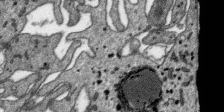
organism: Human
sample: Lung epithelial cells, uninfected (mock) control